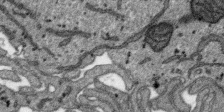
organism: Human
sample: Lung epithelial cells, uninfected (mock) control